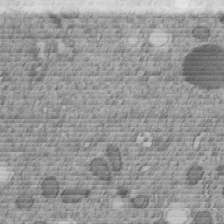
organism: C. elegans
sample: C. elegans embryo early stage